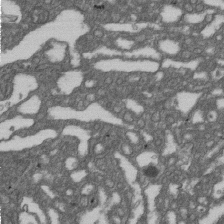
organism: Drosophila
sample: Nephrocyte